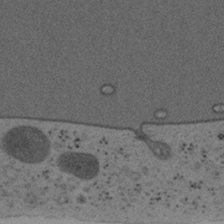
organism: Human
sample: HeLa cells